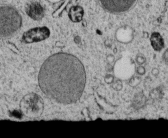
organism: C. elegans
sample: C. elegans embryo early stage